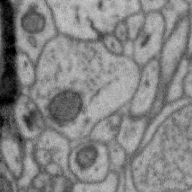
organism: Zebra finch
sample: Brain